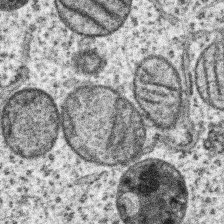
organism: Human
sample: HeLa cells